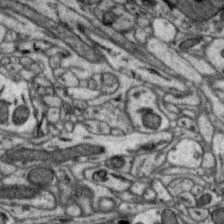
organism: Zebra finch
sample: Brain